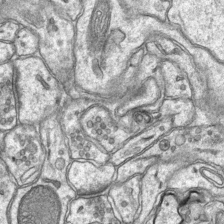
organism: Mouse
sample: CA1 Hippocampus